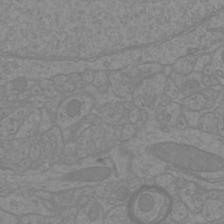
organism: Mouse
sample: Cortical neurons